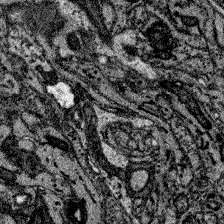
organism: Zebrafish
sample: Larval olfactory bulb